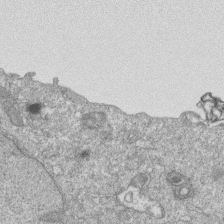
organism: Human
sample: HeLa cell HIV synapse